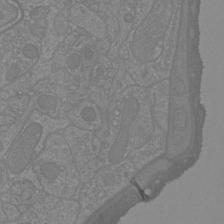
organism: Mouse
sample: Cortical neurons